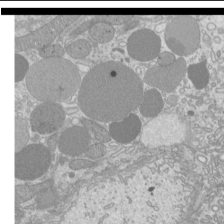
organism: Mouse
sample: Cilia; mouse epididymis